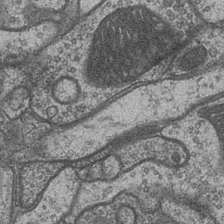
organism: Drosophila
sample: Optic medulla